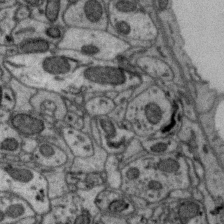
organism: Zebra finch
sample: Brain